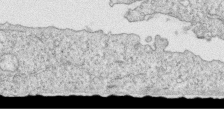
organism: Human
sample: HeLa cell HIV synapse